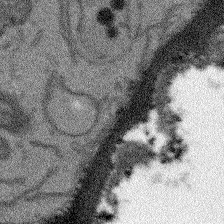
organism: Arabidopsis thaliana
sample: Root tip